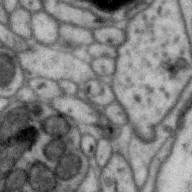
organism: Zebra finch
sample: Brain